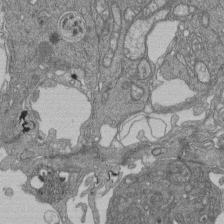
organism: Human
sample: Retinal organoid Rod and Cone cells